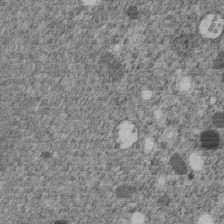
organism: C. elegans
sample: C. elegans embryo early stage